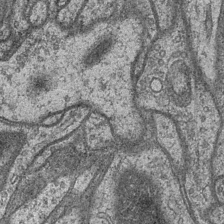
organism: Drosophila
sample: Optic medulla